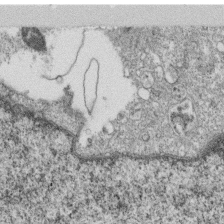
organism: African green monkey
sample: Vero E6 cells infected with SARS-CoV-2